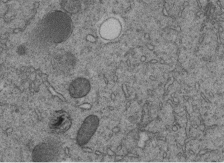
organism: C. elegans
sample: C. elegans embryo early stage